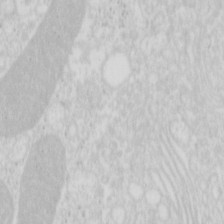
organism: Mouse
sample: Pancreas